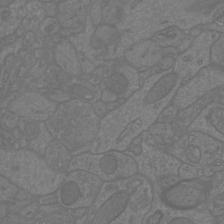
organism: Mouse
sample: Cortical neurons